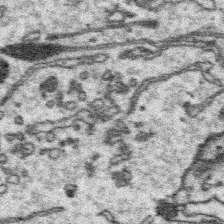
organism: Platynereis dumerilii